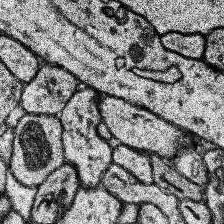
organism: Human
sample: Temporal Lobe